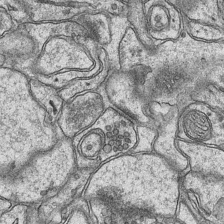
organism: Mouse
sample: CA1 Hippocampus